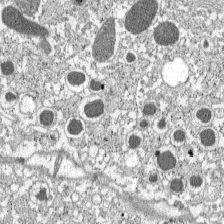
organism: C57BL Mouse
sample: Pancreatic islet